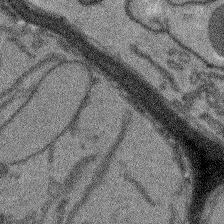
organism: Arabidopsis thaliana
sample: Root tip